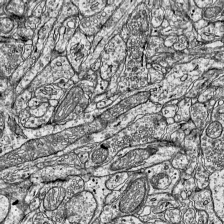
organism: Mouse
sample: Visual Cortex